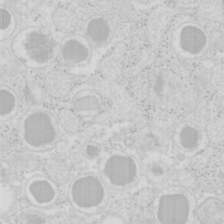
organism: Mouse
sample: Pancreas